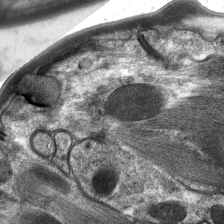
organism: C. elegans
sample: Pharynx